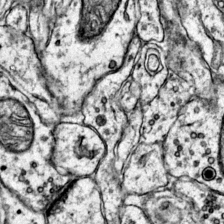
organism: Mouse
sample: Primary visual cortex